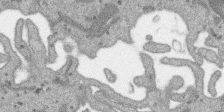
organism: Human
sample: Lung epithelial cells infected with SARS-CoV-2